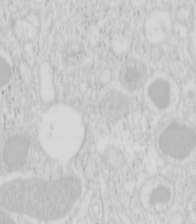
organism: Mouse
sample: Pancreas